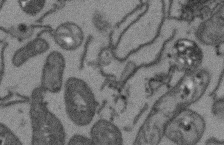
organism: Arabidopsis thaliana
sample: Root tip